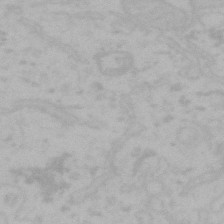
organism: Mouse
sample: Choroid plexus